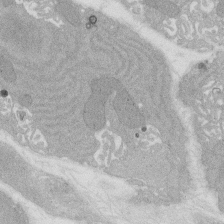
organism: Rat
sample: Salivary granule